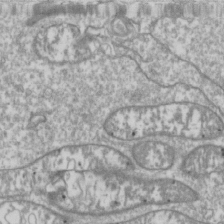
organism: Drosophila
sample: Cell division; meiosis; drosophila spermatocytes